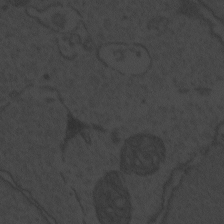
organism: Zebrafish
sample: Macrophage infected with Toxoplasma gondii